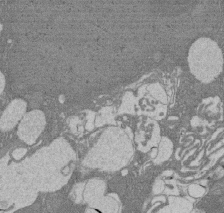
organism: Rat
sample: Salivary granule